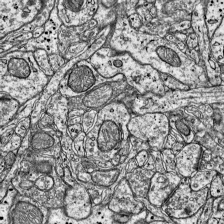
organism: Mouse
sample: Visual Cortex